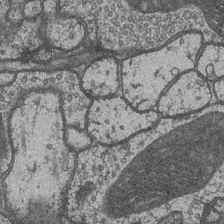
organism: Drosophila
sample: Optic medulla